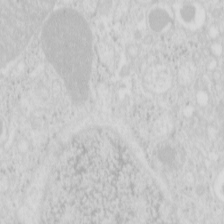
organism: Mouse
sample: Pancreas